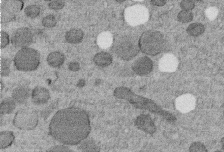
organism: C. elegans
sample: C. elegans embryo early stage